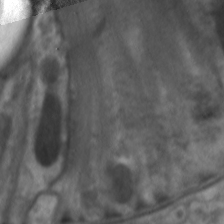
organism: C. elegans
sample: Pharynx